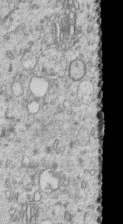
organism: Human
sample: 1205lu cells